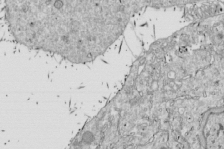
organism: Drosophila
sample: Cell division; meiosis; drosophila spermatocytes